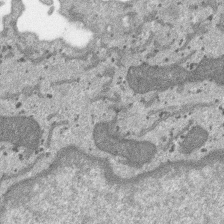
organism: Human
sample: Lung epithelial cells infected with SARS-CoV-2